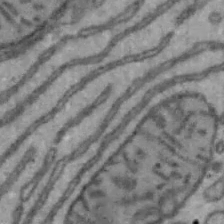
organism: Mouse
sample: Liver